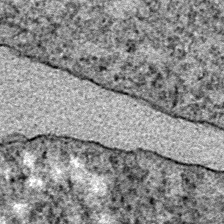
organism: E. coli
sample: E. Coli Bacteria